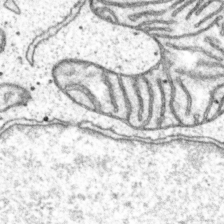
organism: Human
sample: HeLa cells